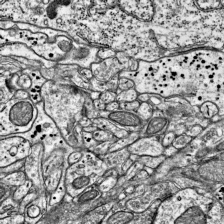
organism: Mouse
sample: Visual Cortex